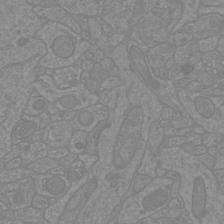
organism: Mouse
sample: Cortical neurons